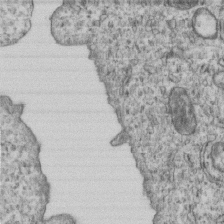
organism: Human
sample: MDA-MB-231 cells